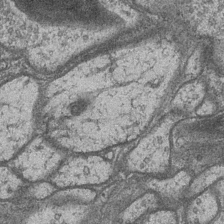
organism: Drosophila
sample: Optic medulla